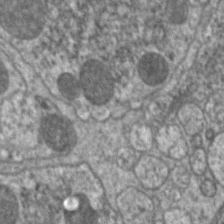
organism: C. elegans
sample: Pharynx